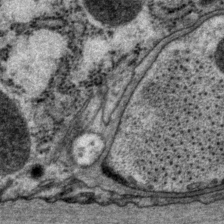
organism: P. pacificus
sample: Pharynx